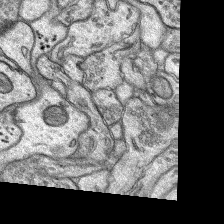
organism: Rat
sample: Hippocampus